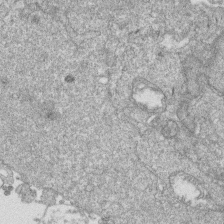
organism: Human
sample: HeLa cell HIV synapse